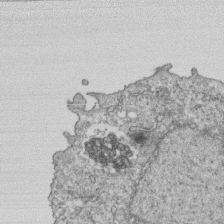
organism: Human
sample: HeLa cell HIV synapse